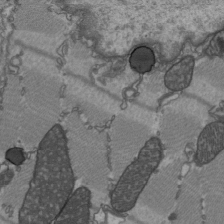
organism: C57BL Mouse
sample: Heart